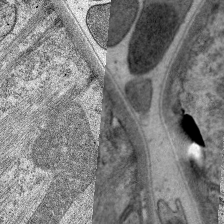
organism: C. elegans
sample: Pharynx